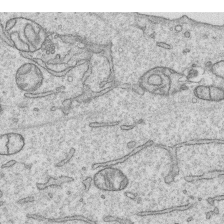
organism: Human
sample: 1205lu cells